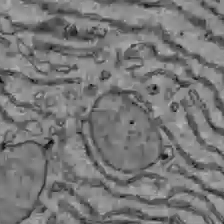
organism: C57BL Mouse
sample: Liver